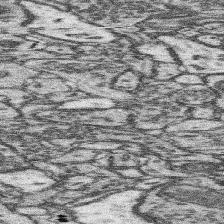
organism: Mouse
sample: Somatosensory cortex neuropil